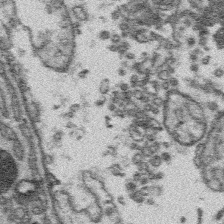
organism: Platynereis dumerilii